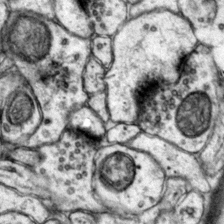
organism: Mouse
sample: Primary visual cortex